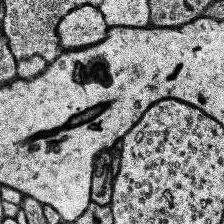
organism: Human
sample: Temporal Lobe